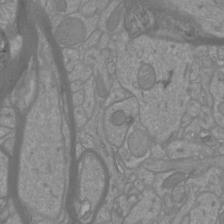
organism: Mouse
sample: Cortical neurons